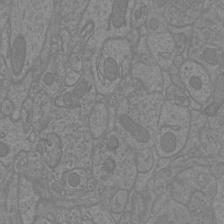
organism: Mouse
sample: Cortical neurons